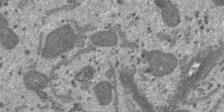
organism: Human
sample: Lung epithelial cells infected with SARS-CoV-2